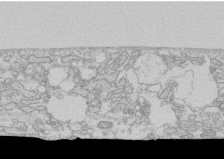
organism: Human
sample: CRL-1474